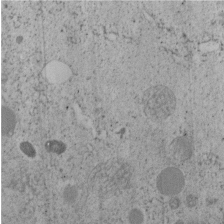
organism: C. elegans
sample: C. elegans embryo early stage